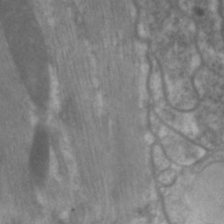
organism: C. elegans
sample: Pharynx